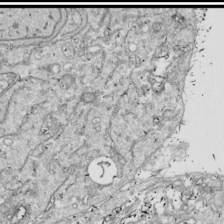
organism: Drosophila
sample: Cell division; meiosis; drosophila spermatocytes